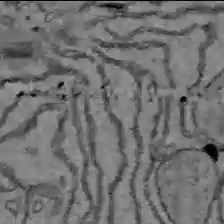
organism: C57BL Mouse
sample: Liver